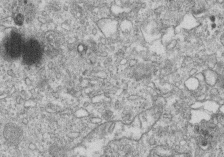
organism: Human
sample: HeLa cell HIV synapse